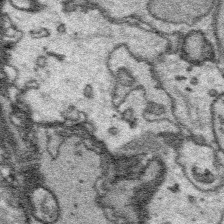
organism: Platynereis dumerilii